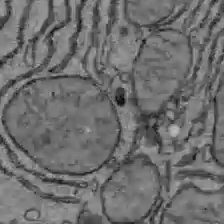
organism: C57BL Mouse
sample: Liver